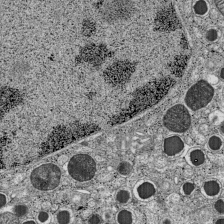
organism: C57BL Mouse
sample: Pancreatic islet